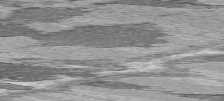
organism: C57BL Mouse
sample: Heart